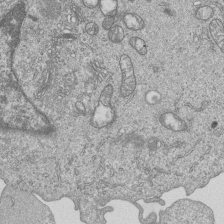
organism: Human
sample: MDA-MB-231 cells